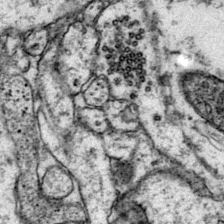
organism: Mouse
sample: Primary visual cortex